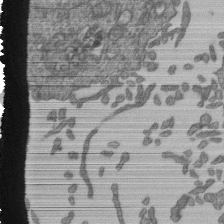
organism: Human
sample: Retinal organoid Rod and Cone cells